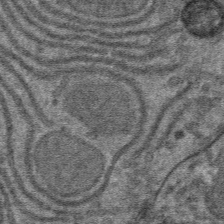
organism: Mouse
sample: Mouse hepatocytes